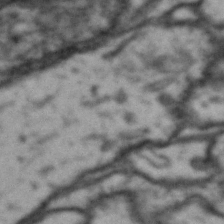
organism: Drosophila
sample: Brain